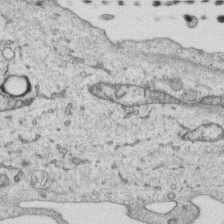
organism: Human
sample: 1205lu cells